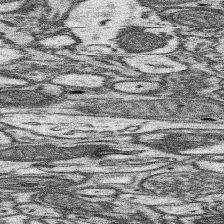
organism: Mouse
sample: Somatosensory cortex neuropil